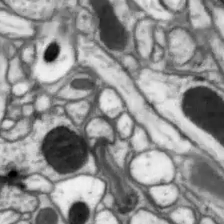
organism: Drosophila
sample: Optic lobe